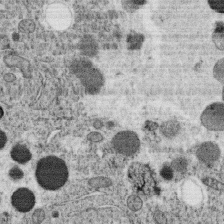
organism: C. elegans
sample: C. elegans oocyte; sperm cells